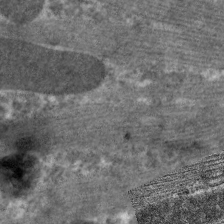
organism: C. elegans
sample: Pharynx